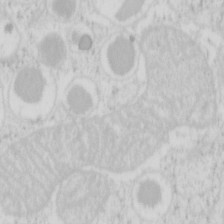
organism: Mouse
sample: Pancreas